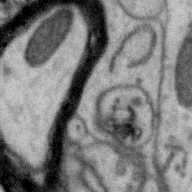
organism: Zebra finch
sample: Brain